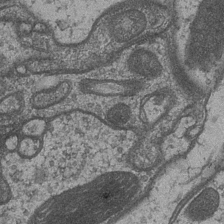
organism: Drosophila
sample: Optic medulla